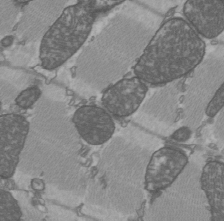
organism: C57BL Mouse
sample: Heart